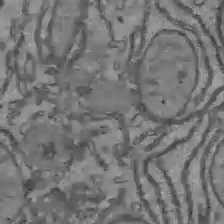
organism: C57BL Mouse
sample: Liver